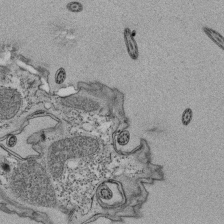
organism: Tetrahymena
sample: Cilia in tetrahymena